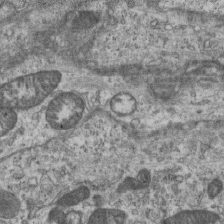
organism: Mouse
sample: Centriole in ependymal cells